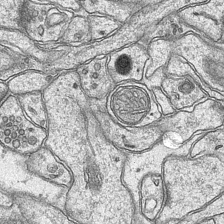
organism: Mouse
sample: CA1 Hippocampus